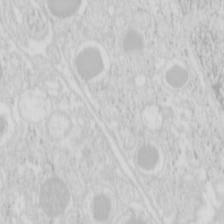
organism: Mouse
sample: Pancreas